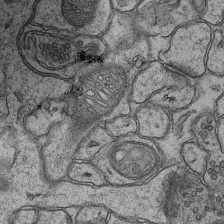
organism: Mouse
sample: CA1 Hippocampus